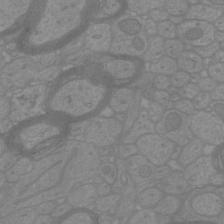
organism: Mouse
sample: Cortical neurons